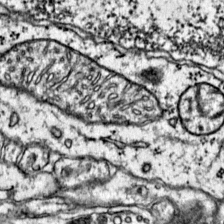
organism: Mouse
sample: Primary visual cortex